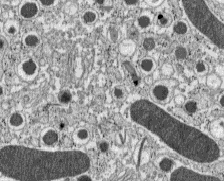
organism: C57BL Mouse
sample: Pancreatic islet